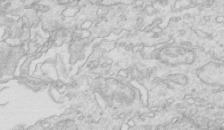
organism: Mouse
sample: Multiciliated cells